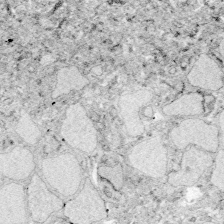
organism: Zebrafish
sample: Whole-Brain